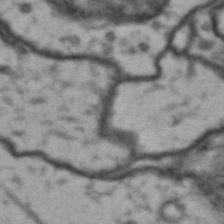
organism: Drosophila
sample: Brain